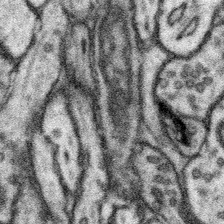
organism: Mouse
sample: Somatosensory cortex neuropil